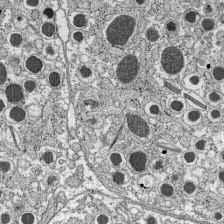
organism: C57BL Mouse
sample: Pancreatic islet